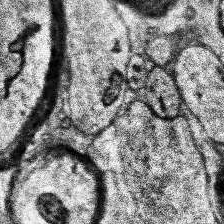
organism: Human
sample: Temporal Lobe